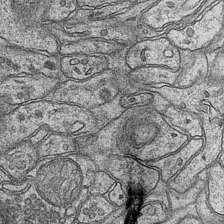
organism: Mouse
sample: CA1 Hippocampus